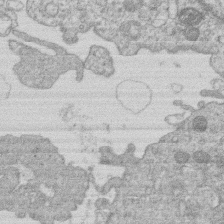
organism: Human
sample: Macrophage cells